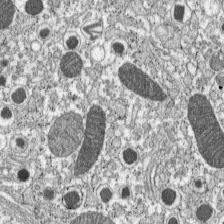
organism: C57BL Mouse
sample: Pancreatic islet